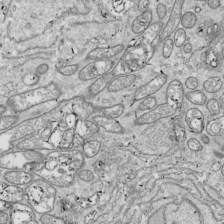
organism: Drosophila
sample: Cell division; meiosis; drosophila spermatocytes